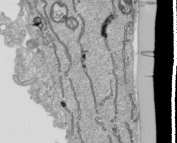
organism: Human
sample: Mitochondria in HCT116 cells